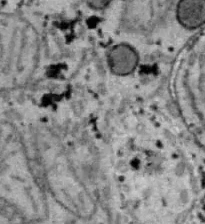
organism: Mouse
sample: Liver from an obese (ob/ob) mouse